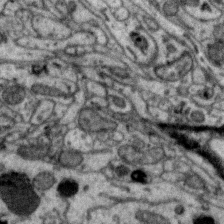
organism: Zebra finch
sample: Brain